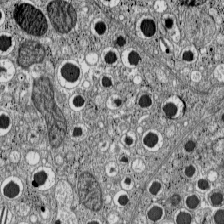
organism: C57BL Mouse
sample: Pancreatic islet